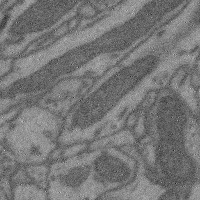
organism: Mouse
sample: Cerebral cortex